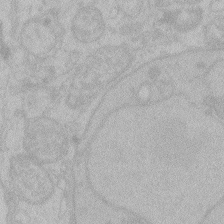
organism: Zebrafish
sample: Macrophage infected with Toxoplasma gondii